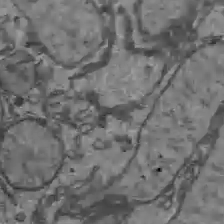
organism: C57BL Mouse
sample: Liver